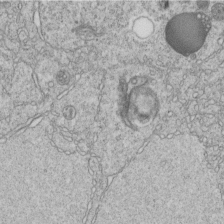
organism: C. elegans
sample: C. elegans embryo early stage